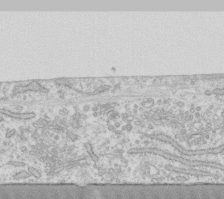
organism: Human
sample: Fibroblast cells